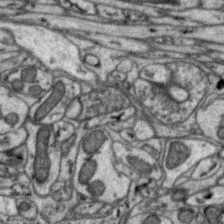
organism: Zebra finch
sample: Brain